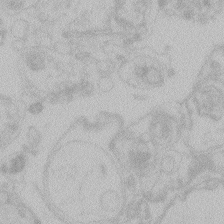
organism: Zebrafish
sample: Macrophage infected with Toxoplasma gondii